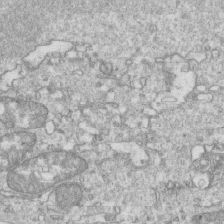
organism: Mouse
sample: Activated OT-1 CD8+ T cells